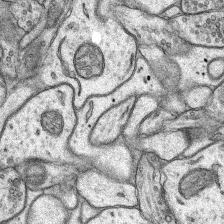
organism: Rat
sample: Hippocampus